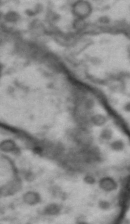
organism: Drosophila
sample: Brain